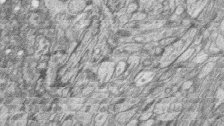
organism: Zebrafish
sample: synaptic ribbons in rod cells and cone cells